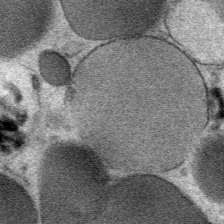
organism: Mouse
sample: Mouse Salivary gland